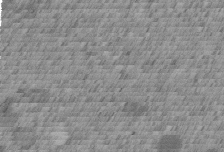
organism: C. elegans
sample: C. elegans embryo early stage